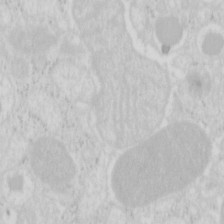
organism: Mouse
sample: Pancreas